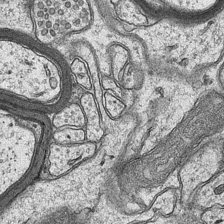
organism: Mouse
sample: CA1 Hippocampus